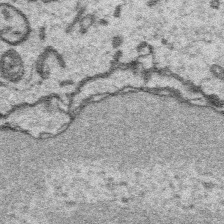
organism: Platynereis dumerilii